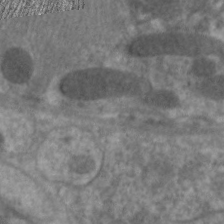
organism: C. elegans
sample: Pharynx